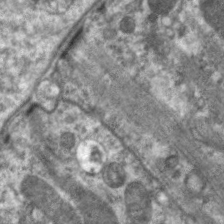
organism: C. elegans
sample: Pharynx